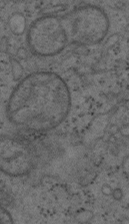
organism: Human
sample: HeLa cells